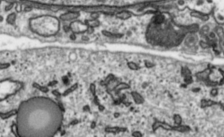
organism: Toxoplasma gondii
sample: Parasites in a vacuole inside a host cell